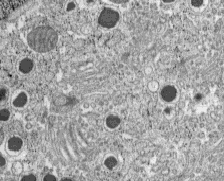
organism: C57BL Mouse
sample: Pancreatic islet